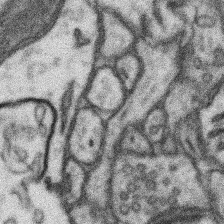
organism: Mouse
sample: Somatosensory cortex neuropil